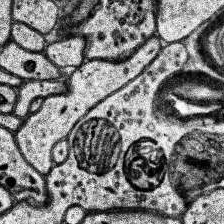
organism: Human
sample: Temporal Lobe